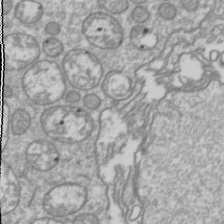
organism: Drosophila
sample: Cell division; meiosis; drosophila spermatocytes